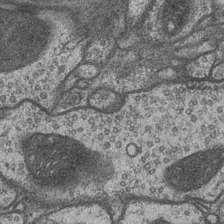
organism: Drosophila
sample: Optic medulla